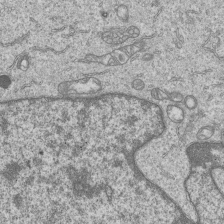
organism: Human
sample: MDA-MB-231 cells